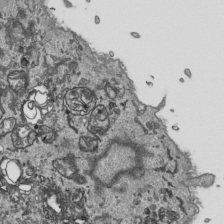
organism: Human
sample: Mitochondria in HCT116 cells